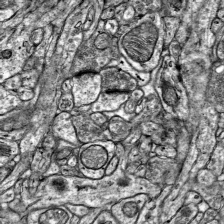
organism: Mouse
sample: Visual Cortex